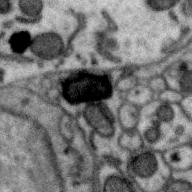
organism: Zebra finch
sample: Brain